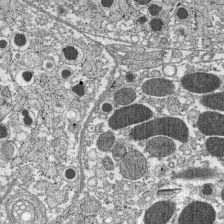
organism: C57BL Mouse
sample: Pancreatic islet